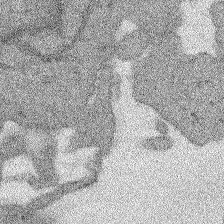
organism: Human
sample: HeLa cells